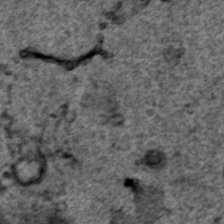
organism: Human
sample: Mitochondria in HCT116 cells